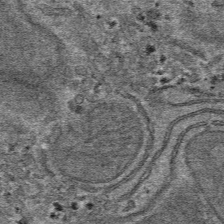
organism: Mouse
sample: Mouse hepatocytes